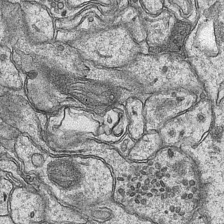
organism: Mouse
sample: CA1 Hippocampus